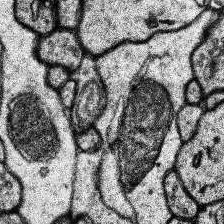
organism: Human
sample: Temporal Lobe